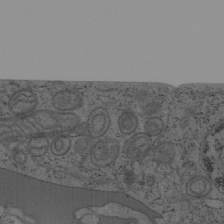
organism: Human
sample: HeLa cells